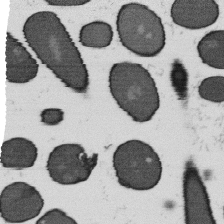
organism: B. subtilis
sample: Bacterial spore